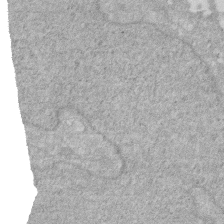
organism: Human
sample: HIV infected U937 cells